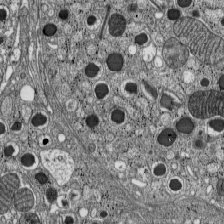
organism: C57BL Mouse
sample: Pancreatic islet